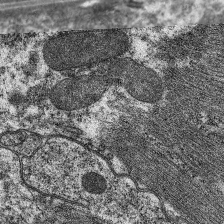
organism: C. elegans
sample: Pharynx